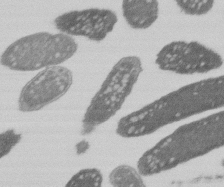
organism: E. coli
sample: Bacterial nucleoid